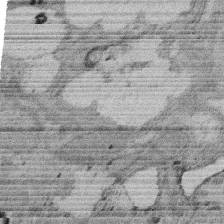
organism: Rat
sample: Salivary granule